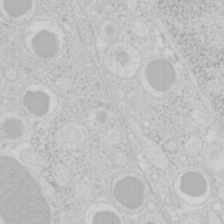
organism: Mouse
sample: Pancreas